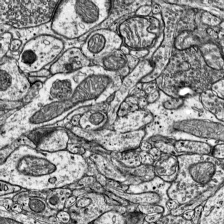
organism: Mouse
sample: Visual Cortex